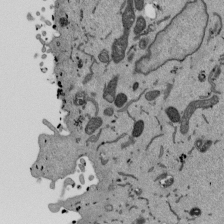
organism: Mouse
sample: ED-1 cell nuclei; centrioles